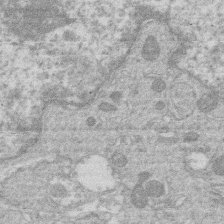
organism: Human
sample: Macrophage cells